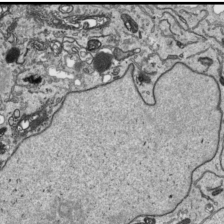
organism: Human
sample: Mitochondria in HCT116 cells